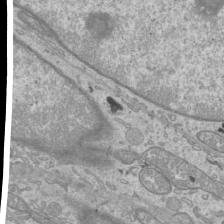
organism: Mouse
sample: Cilia; mouse epididymis